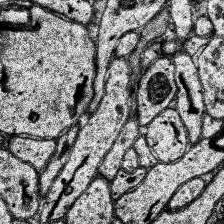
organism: Human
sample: Temporal Lobe